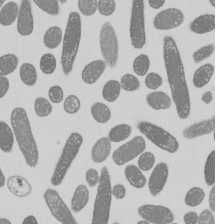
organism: E. coli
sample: Bacterial nucleoid